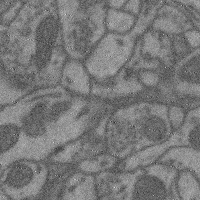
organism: Mouse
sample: Cerebral cortex